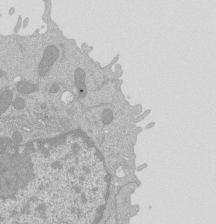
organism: Mouse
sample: Activated Pmel transgenic CD8+ T Cells